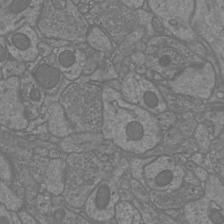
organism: Mouse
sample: Cortical neurons